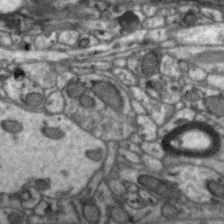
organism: Zebra finch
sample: Brain